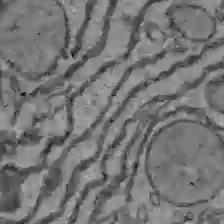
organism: C57BL Mouse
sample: Liver